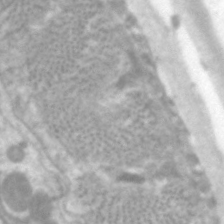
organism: C. elegans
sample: Pharynx